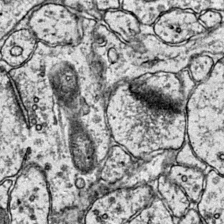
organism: Mouse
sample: Primary visual cortex